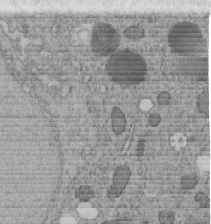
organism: C. elegans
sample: C. elegans embryo early stage